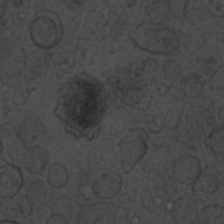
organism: C. elegans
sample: C. elegans embryo